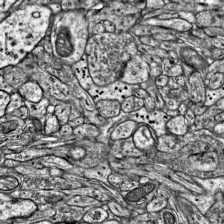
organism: Mouse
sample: Visual Cortex